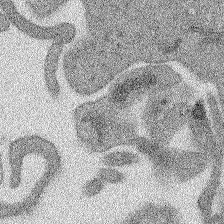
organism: Human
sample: HeLa cells